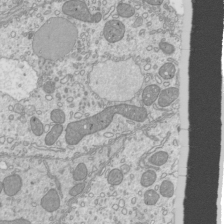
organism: Mouse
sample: Cilia; mouse epididymis